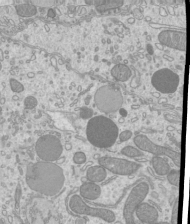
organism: Mouse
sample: Cilia; mouse epididymis